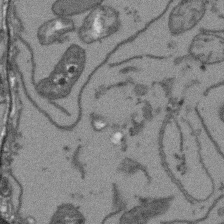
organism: Arabidopsis thaliana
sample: Root tip